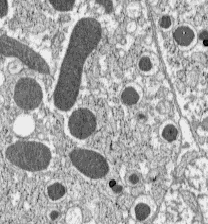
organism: C57BL Mouse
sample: Pancreatic islet